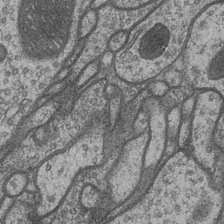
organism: Drosophila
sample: Optic medulla